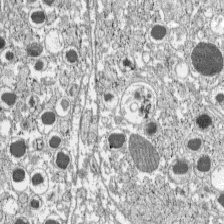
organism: C57BL Mouse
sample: Pancreatic islet